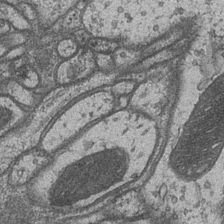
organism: Drosophila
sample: Optic medulla